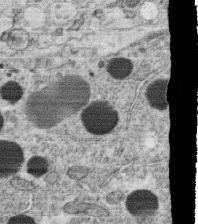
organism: C. elegans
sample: C. elegans oocyte; sperm cells